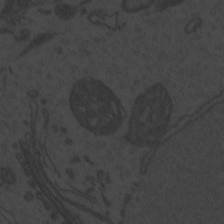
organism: Zebrafish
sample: Macrophage infected with Toxoplasma gondii